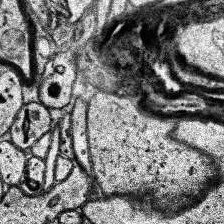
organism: Human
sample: Temporal Lobe